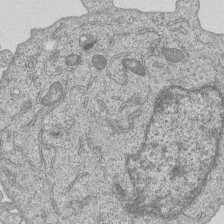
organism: Human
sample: MDA-MB-231 cells